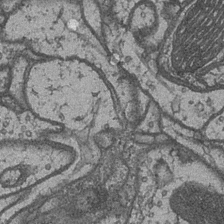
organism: Drosophila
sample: Optic medulla